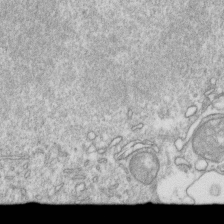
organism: Mouse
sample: Activated OT-1 CD8+ T cells